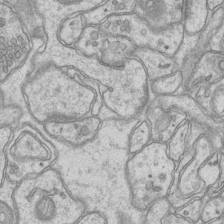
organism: Mouse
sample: CA1 Hippocampus